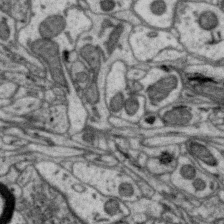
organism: Zebra finch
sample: Brain